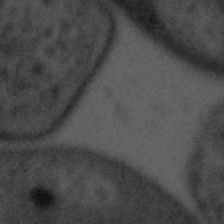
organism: Tuwongella immobilis